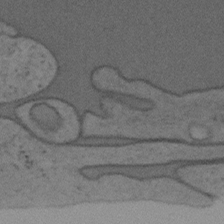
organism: Human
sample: HeLa cells